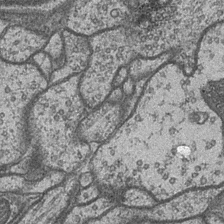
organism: Drosophila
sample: Optic medulla